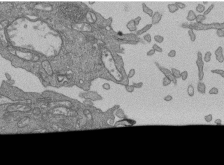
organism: Human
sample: Retinal organoid Rod and Cone cells